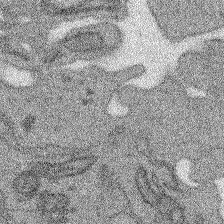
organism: Human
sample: HeLa cells